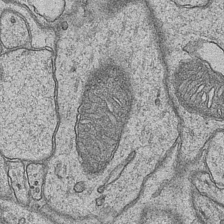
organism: Mouse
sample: CA1 Hippocampus